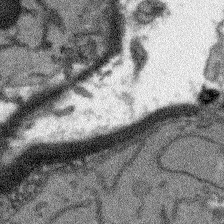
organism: Arabidopsis thaliana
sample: Root tip